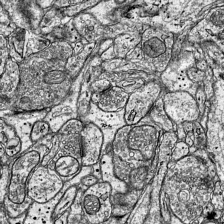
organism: Mouse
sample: Visual Cortex